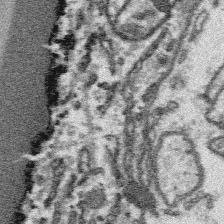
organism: Platynereis dumerilii